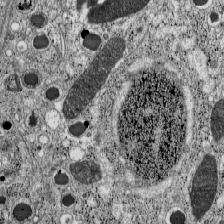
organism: C57BL Mouse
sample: Pancreatic islet